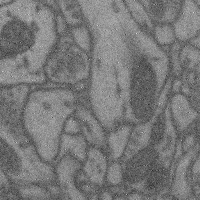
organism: Mouse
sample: Cerebral cortex